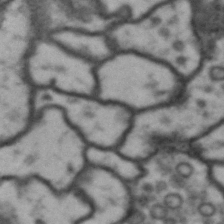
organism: Drosophila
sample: Brain